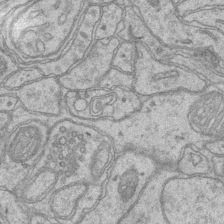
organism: Mouse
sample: CA1 Hippocampus